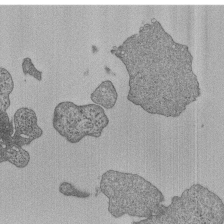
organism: Human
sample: MDA-MB-231 cells